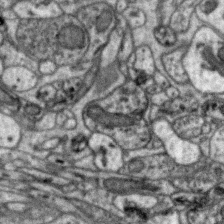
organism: Zebra finch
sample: Brain